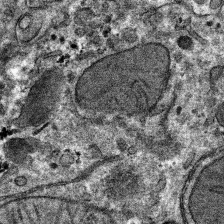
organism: Mouse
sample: Mouse hepatocytes